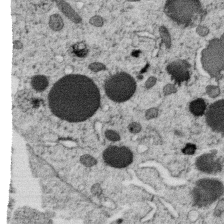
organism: C. elegans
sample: C. elegans oocyte; sperm cells